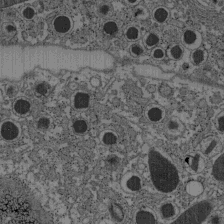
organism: C57BL Mouse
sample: Pancreatic islet